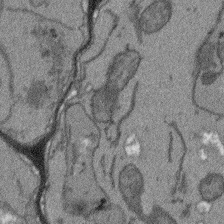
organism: Arabidopsis thaliana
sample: Root tip